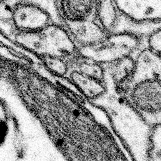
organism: Mouse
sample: Somatosensory cortex neuropil